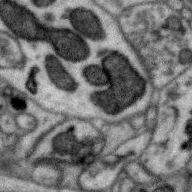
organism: Zebra finch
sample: Brain